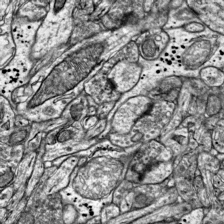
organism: Mouse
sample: Visual Cortex